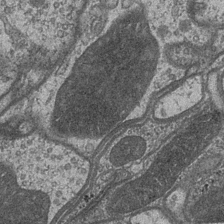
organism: Drosophila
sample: Optic medulla